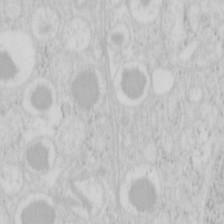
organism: Mouse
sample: Pancreas